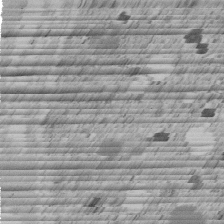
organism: C. elegans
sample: C. elegans embryo early stage